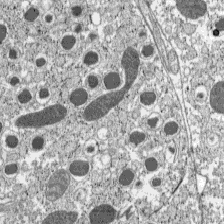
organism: C57BL Mouse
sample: Pancreatic islet